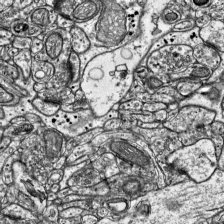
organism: Mouse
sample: Visual Cortex